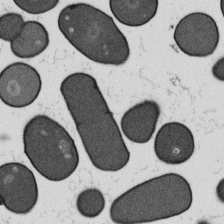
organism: B. subtilis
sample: Bacterial spore